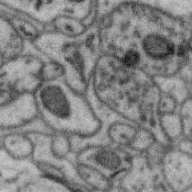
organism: Zebra finch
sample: Brain